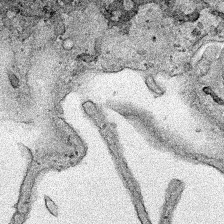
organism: Human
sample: Mitochondria in HCT116 cells